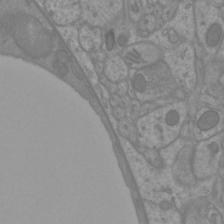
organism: Mouse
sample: Cortical neurons